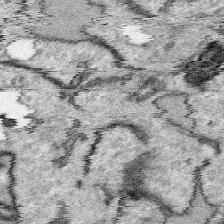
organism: Human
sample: HeLa cells